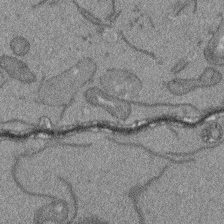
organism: Arabidopsis thaliana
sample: Root tip